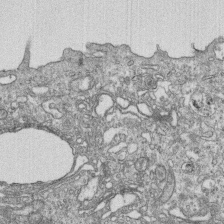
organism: Human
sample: HeLa cell HIV synapse